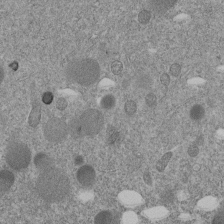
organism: C. elegans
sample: C. elegans embryo early stage